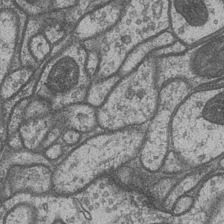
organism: Drosophila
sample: Optic medulla